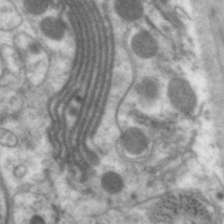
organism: C. elegans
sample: Pharynx